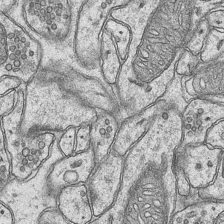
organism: Mouse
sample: CA1 Hippocampus